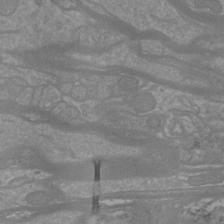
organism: Mouse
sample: Cortical neurons